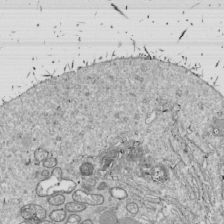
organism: Drosophila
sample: Cell division; meiosis; drosophila spermatocytes